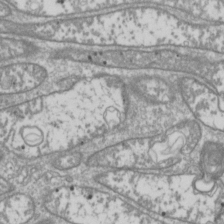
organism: Drosophila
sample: Cell division; meiosis; drosophila spermatocytes